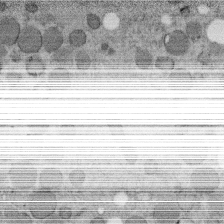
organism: C. elegans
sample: C. elegans embryo early stage